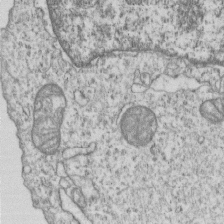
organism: Human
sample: MDA-MB-231 cells